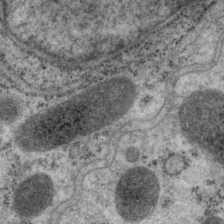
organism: P. pacificus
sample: Pharynx